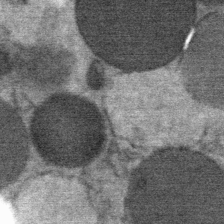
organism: Mouse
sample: Mouse Salivary gland